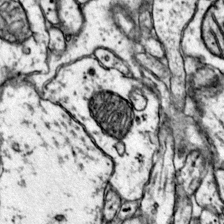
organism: Mouse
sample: Primary visual cortex